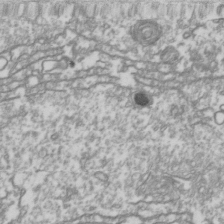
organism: Drosophila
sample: Cell division; meiosis; drosophila spermatocytes